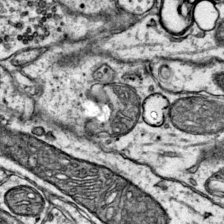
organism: Mouse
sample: Primary visual cortex